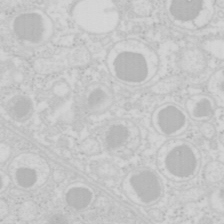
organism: Mouse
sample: Pancreas